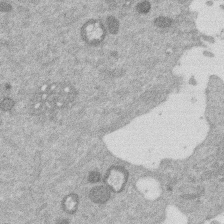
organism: Mouse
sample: Dividing mouse embryo 1 cell stage